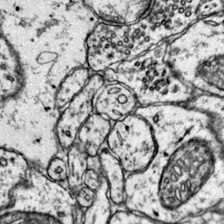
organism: Mouse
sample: Primary visual cortex